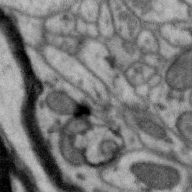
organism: Zebra finch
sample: Brain